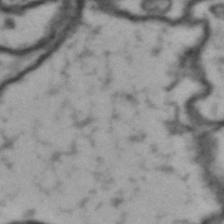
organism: Drosophila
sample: Brain